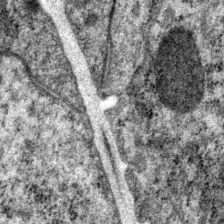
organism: P. pacificus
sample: Pharynx